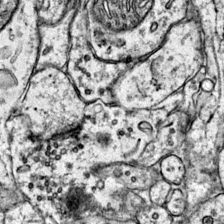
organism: Mouse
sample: Primary visual cortex